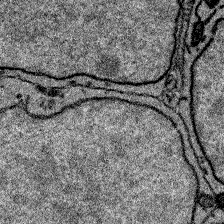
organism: Zebrafish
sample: Larval olfactory bulb